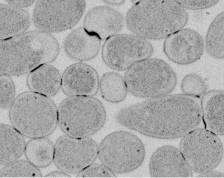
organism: E. coli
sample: Bacterial nucleoid